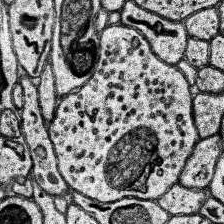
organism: Human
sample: Temporal Lobe